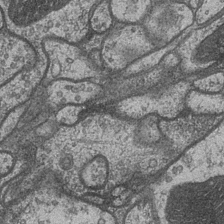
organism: Drosophila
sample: Optic medulla